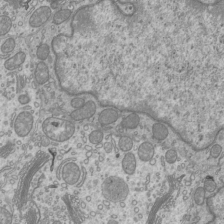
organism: Mouse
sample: Cilia; mouse epididymis